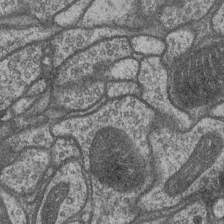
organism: Drosophila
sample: Optic medulla